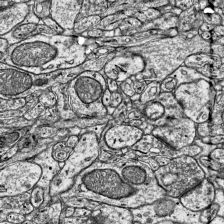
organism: Mouse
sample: Visual Cortex